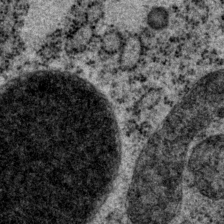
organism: P. pacificus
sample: Pharynx